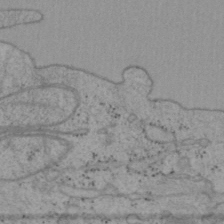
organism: Human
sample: HeLa cells